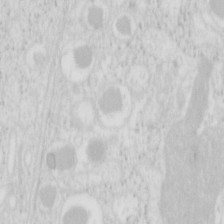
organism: Mouse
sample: Pancreas